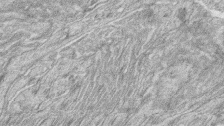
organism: Zebrafish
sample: synaptic ribbons in rod cells and cone cells